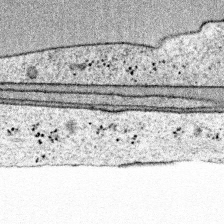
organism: Human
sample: HeLa cells